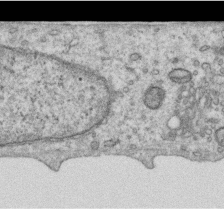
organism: Human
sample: Centriole in RPE cells